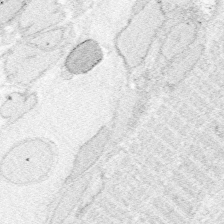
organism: Zebrafish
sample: Whole-Brain